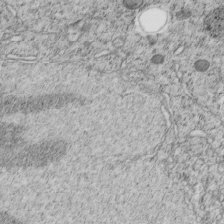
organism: C. elegans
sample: C. elegans embryo early stage